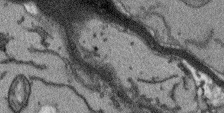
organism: Arabidopsis thaliana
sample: Root tip